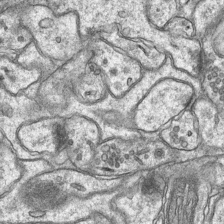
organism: Mouse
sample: CA1 Hippocampus